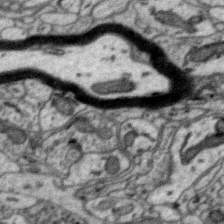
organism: Zebra finch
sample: Brain